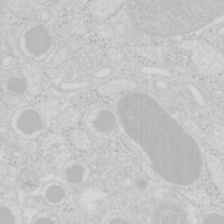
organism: Mouse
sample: Pancreas